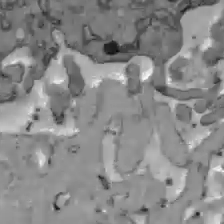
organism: C57BL Mouse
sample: Liver